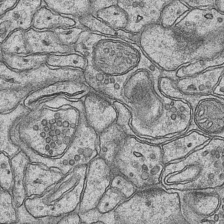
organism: Mouse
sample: CA1 Hippocampus